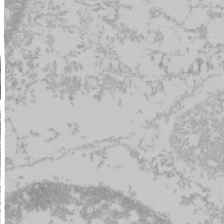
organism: Mouse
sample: Cancer cell death in ED-1 cells